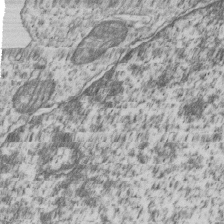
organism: Human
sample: MDA-MB-231 cells